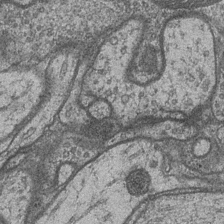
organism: Drosophila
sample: Optic medulla